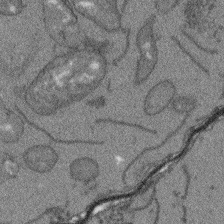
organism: Arabidopsis thaliana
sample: Root tip